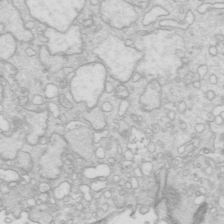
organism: Mouse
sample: Multiciliated cells